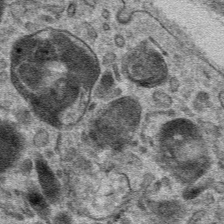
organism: Mouse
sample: Mouse hepatocytes